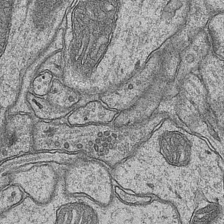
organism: Mouse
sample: CA1 Hippocampus